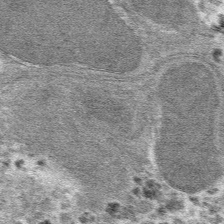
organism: Mouse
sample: Mouse hepatocytes